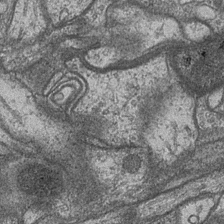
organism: Drosophila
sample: Optic medulla